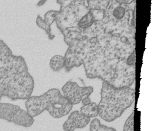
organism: Human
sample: MDA-MB-231 cells